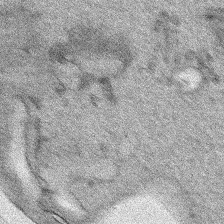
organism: Human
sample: Mitochondria in HCT116 cells